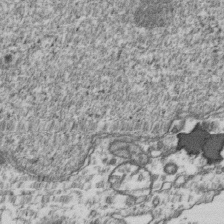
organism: Human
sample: Activated Jurkat CD4+ T cells